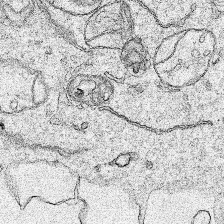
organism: Human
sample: Mitochondria in HCT116 cells